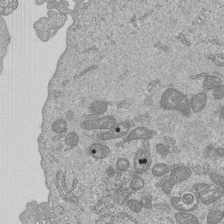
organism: Human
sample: MDA-MB-231 cells